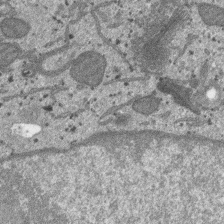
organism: Human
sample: Lung epithelial cells infected with SARS-CoV-2